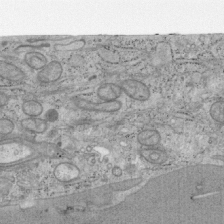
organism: Human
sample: HeLa cells